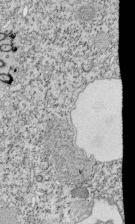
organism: Tetrahymena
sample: Cilia in tetrahymena